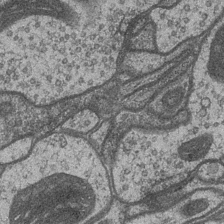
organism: Drosophila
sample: Optic medulla